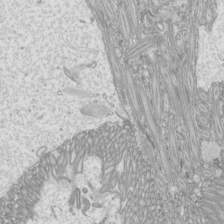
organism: Mouse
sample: Cilia; mouse epididymis